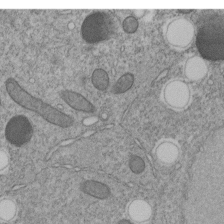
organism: C. elegans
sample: C. elegans embryo early stage